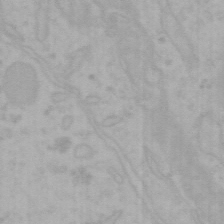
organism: Mouse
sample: Choroid plexus